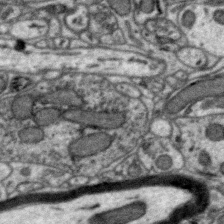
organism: Zebra finch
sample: Brain